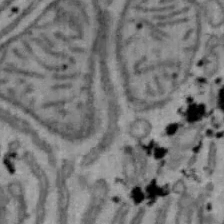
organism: Mouse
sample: Liver